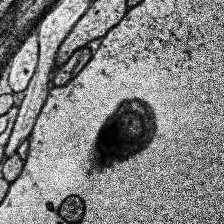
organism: Human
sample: Temporal Lobe